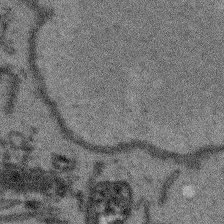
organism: Arabidopsis thaliana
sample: Root tip